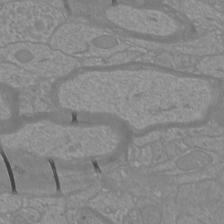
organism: Mouse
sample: Cortical neurons